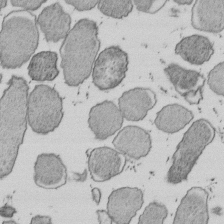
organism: E. coli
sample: Bacterial nucleoid